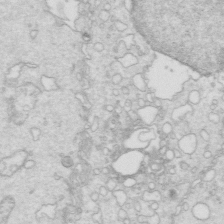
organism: Mouse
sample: Multiciliated cells